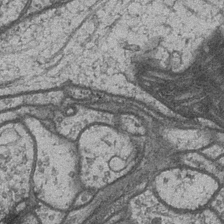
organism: Drosophila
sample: Optic medulla